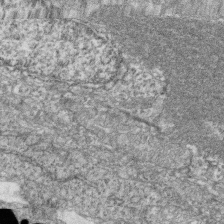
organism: Zebrafish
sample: Cilia; retinal pigment epithelium